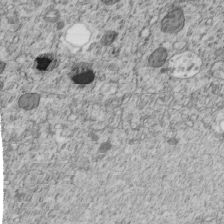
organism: C. elegans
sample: C. elegans embryo early stage